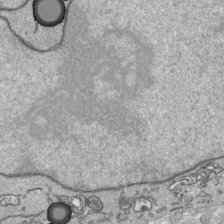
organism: Human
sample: Mitochondria in HCT116 cells